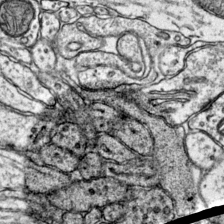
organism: Mouse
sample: Primary visual cortex